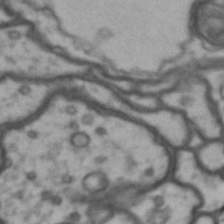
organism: Drosophila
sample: Brain